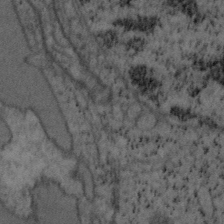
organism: Human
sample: HeLa cells